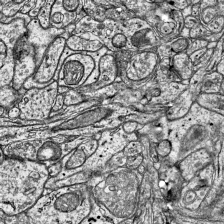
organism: Mouse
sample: Visual Cortex